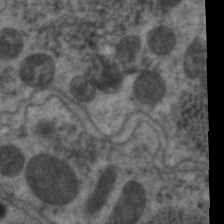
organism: C. elegans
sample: Pharynx